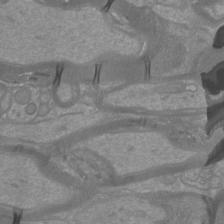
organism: Mouse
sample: Cortical neurons